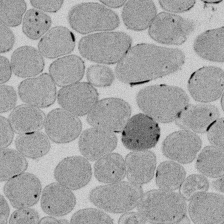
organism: E. coli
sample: Bacterial nucleoid